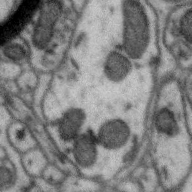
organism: Zebra finch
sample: Brain